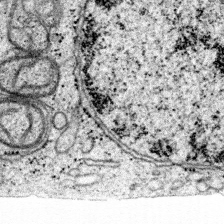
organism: Human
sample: HeLa cells